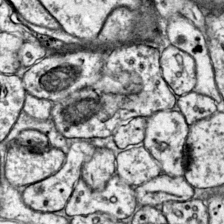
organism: Mouse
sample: Primary visual cortex